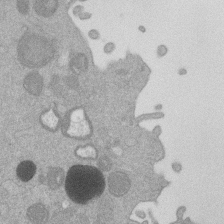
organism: Mouse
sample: Dividing mouse embryo 1 cell stage